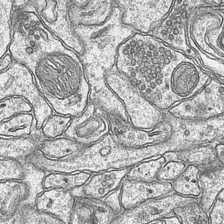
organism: Mouse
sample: CA1 Hippocampus